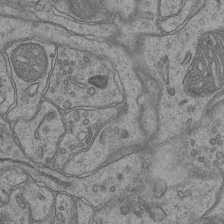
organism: Mouse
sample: CA1 Hippocampus